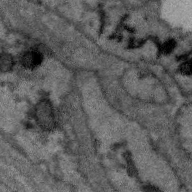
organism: Zebra finch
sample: Brain